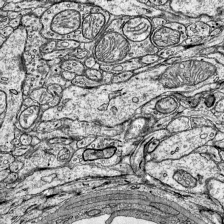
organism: Mouse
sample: Visual Cortex